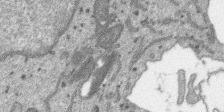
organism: Human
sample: Lung epithelial cells infected with SARS-CoV-2